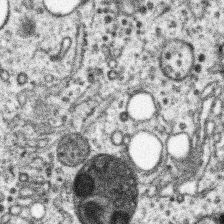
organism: Human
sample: HeLa cells